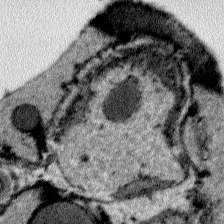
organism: Plasmodium falciparum